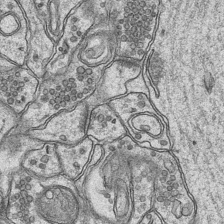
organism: Mouse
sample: CA1 Hippocampus